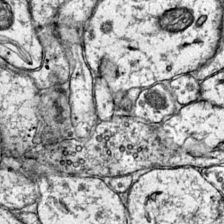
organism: Mouse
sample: Primary visual cortex